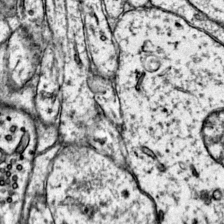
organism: Mouse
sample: Primary visual cortex